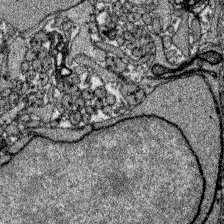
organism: Zebrafish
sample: Larval olfactory bulb